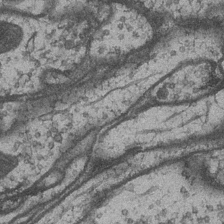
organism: Drosophila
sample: Optic medulla